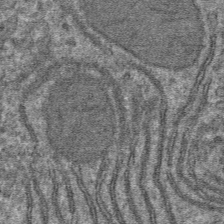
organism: Mouse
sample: Mouse hepatocytes